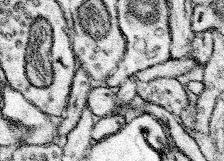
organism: Mouse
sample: Somatosensory cortex neuropil